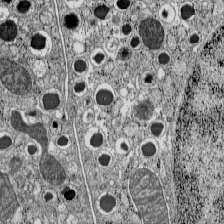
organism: C57BL Mouse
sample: Pancreatic islet